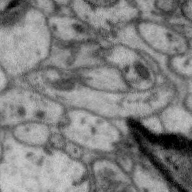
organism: Zebra finch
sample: Brain